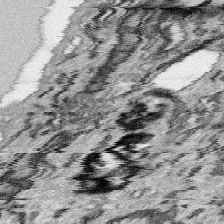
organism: Human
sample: HeLa cells